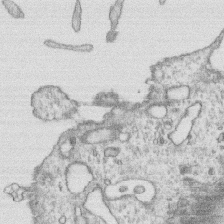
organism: Human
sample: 1205lu cells